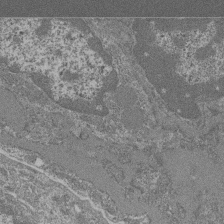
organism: Mouse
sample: Glomerulus